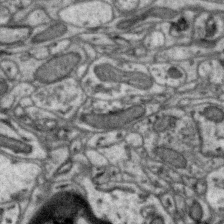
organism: Zebra finch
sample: Brain